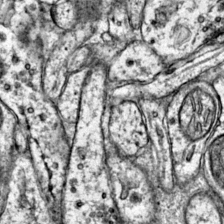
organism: Mouse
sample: Primary visual cortex